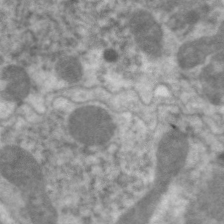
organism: C. elegans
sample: Pharynx